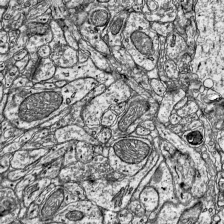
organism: Mouse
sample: Visual Cortex